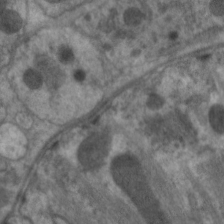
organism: C. elegans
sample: Pharynx